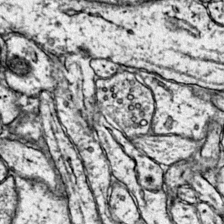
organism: Mouse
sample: Primary visual cortex